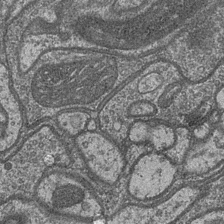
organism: Drosophila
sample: Optic medulla